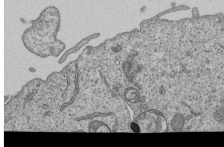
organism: Human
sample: MDA-MB-231 cells